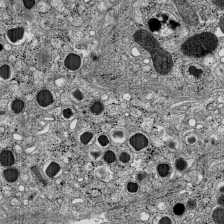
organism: C57BL Mouse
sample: Pancreatic islet